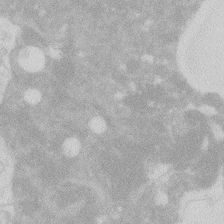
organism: Zebrafish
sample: Macrophage